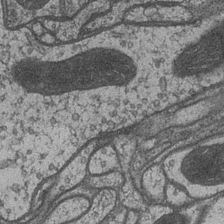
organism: Drosophila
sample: Optic medulla